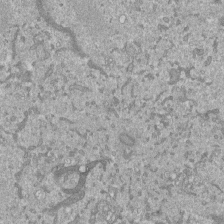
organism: Mouse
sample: ED-1 cell nuclei; centrioles